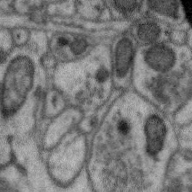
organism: Zebra finch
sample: Brain